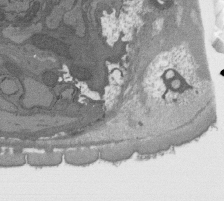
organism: C. elegans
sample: AFD neurons C. elegans